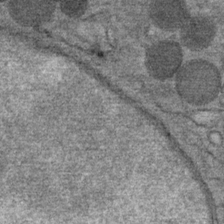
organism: Mouse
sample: Mouse Salivary gland